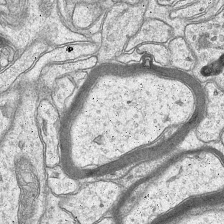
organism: Mouse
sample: CA1 Hippocampus